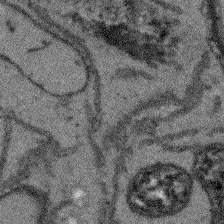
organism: Arabidopsis thaliana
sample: Root tip